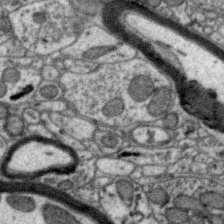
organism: Zebra finch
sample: Brain